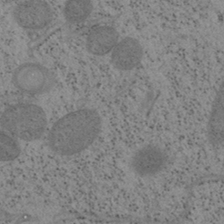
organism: Mouse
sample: OT-I killer T cells with ID8 ovarian cancer cells